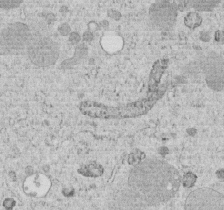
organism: C. elegans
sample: C. elegans embryo early stage